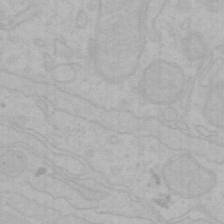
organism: Mouse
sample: Choroid plexus